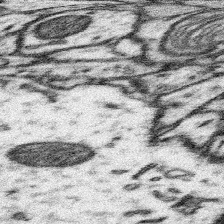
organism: Mouse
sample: Somatosensory cortex neuropil